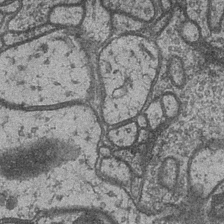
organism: Drosophila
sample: Optic medulla